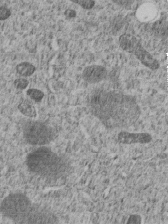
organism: C. elegans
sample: C. elegans embryo early stage